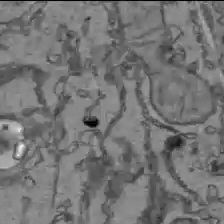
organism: C57BL Mouse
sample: Liver